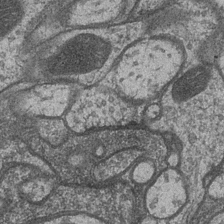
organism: Drosophila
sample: Optic medulla